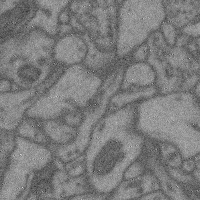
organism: Mouse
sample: Cerebral cortex